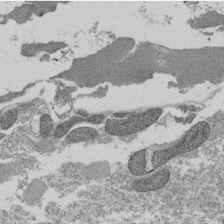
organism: Tetrahymena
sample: Cilia in tetrahymena